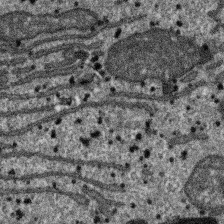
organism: Human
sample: Lung epithelial cells infected with SARS-CoV-2